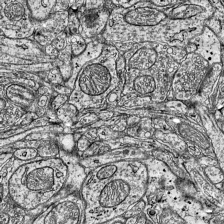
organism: Mouse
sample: Visual Cortex